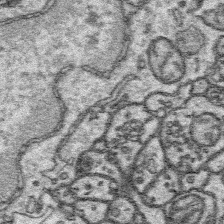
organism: Platynereis dumerilii